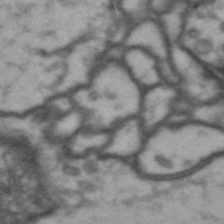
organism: Drosophila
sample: Brain